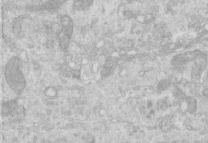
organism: Human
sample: Centriole in RPE cells